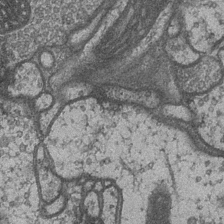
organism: Drosophila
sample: Optic medulla